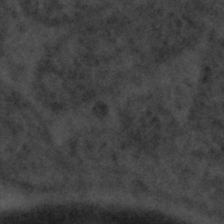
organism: Tuwongella immobilis